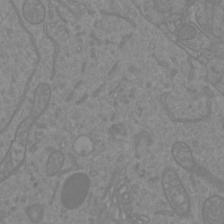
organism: Mouse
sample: Cortical neurons